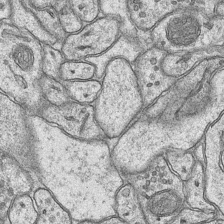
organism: Mouse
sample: CA1 Hippocampus